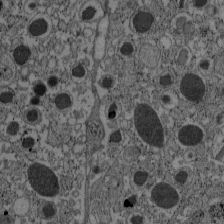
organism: C57BL Mouse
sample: Pancreatic islet